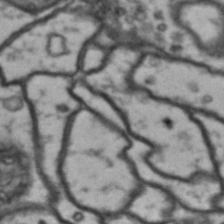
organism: Drosophila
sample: Brain